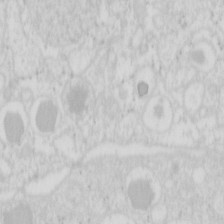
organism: Mouse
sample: Pancreas